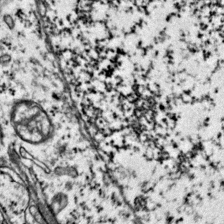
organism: Mouse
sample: Primary visual cortex